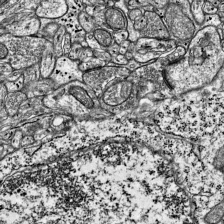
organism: Mouse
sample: Visual Cortex